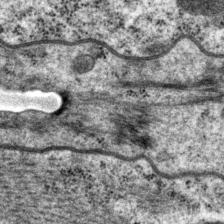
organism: P. pacificus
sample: Pharynx